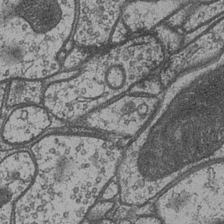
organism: Drosophila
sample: Optic medulla